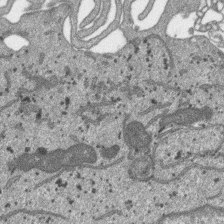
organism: Human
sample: Lung epithelial cells infected with SARS-CoV-2